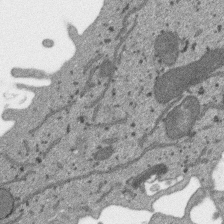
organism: Human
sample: Lung epithelial cells infected with SARS-CoV-2